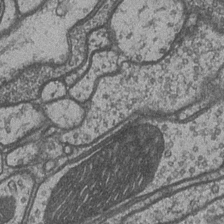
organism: Drosophila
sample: Optic medulla